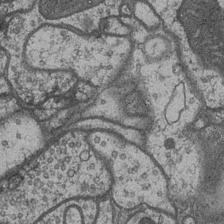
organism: Drosophila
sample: Optic medulla